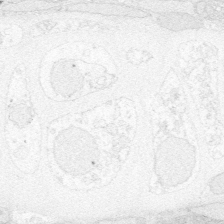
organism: Zebrafish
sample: Whole-Brain